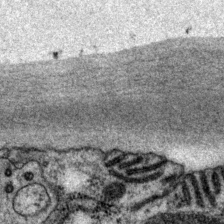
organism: P. pacificus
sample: Pharynx